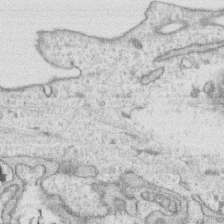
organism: Human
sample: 1205lu cells